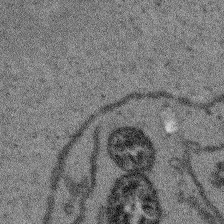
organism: Arabidopsis thaliana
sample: Root tip